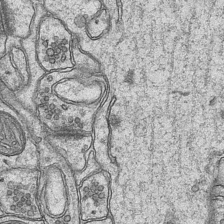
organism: Mouse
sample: CA1 Hippocampus